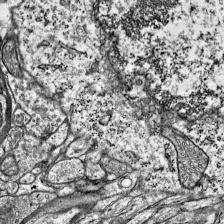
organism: Mouse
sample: Visual Cortex